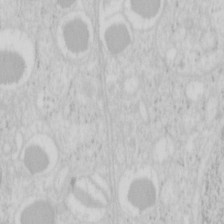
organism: Mouse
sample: Pancreas